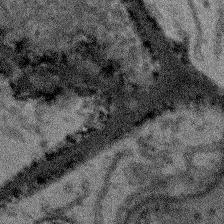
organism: Arabidopsis thaliana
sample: Root tip